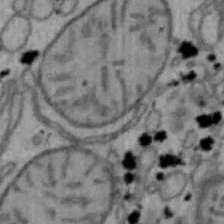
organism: Mouse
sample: Liver